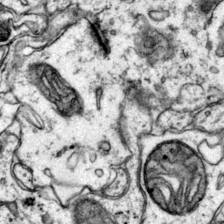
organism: Mouse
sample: Primary visual cortex